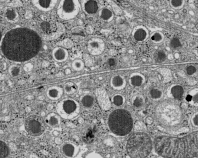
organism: C57BL Mouse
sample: Pancreatic islet